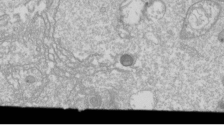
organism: Drosophila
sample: Cell division; meiosis; drosophila spermatocytes